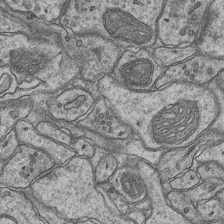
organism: Mouse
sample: CA1 Hippocampus